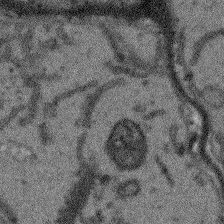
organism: Arabidopsis thaliana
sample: Root tip